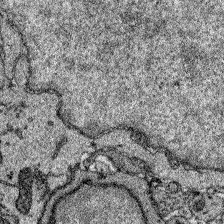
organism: Zebrafish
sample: Larval olfactory bulb